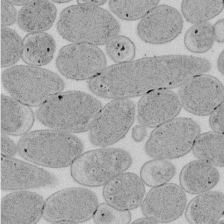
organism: E. coli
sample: Bacterial nucleoid